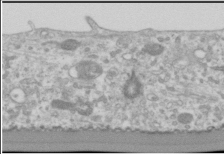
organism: Human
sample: Cilia; basal body in RPE cells